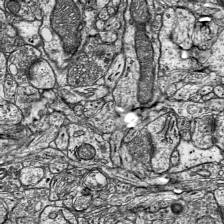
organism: Mouse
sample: Visual Cortex